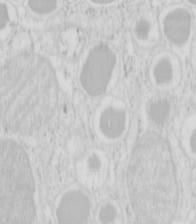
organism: Mouse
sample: Pancreas